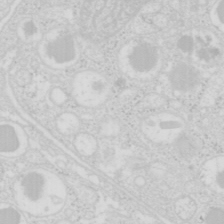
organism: Mouse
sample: Pancreas